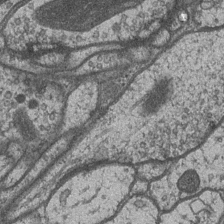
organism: Drosophila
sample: Optic medulla